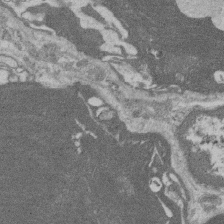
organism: Rat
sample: Salivary granule